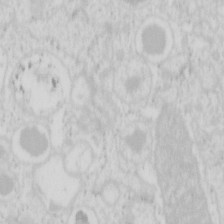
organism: Mouse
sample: Pancreas